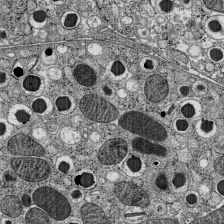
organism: C57BL Mouse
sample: Pancreatic islet